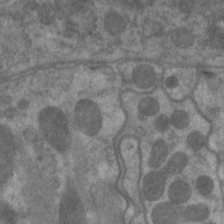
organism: C. elegans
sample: Pharynx